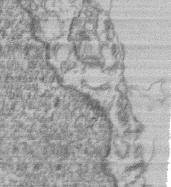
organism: Mouse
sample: T cell stromal cell synapse